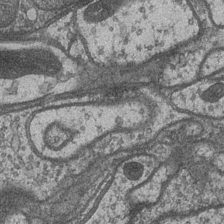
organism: Drosophila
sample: Optic medulla